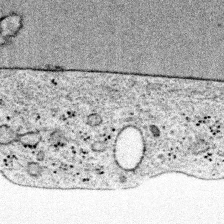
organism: Human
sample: HeLa cells